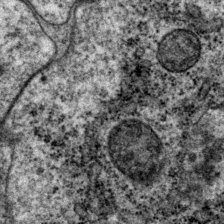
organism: P. pacificus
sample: Pharynx